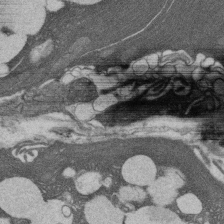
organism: Rat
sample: Salivary granule